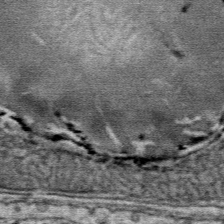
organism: Mouse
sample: Mouse Salivary gland